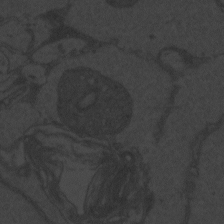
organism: Zebrafish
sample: Macrophage infected with Toxoplasma gondii